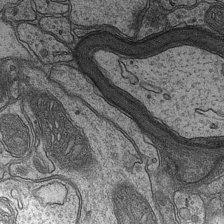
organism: Mouse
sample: CA1 Hippocampus